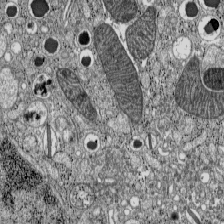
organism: C57BL Mouse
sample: Pancreatic islet